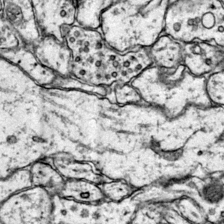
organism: Mouse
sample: Primary visual cortex